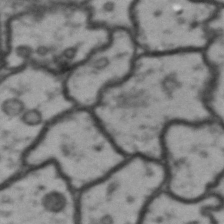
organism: Drosophila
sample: Brain